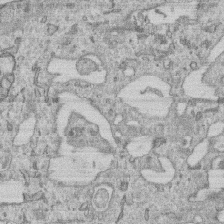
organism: Human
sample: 1205lu cells